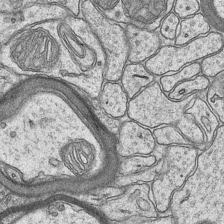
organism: Mouse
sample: CA1 Hippocampus